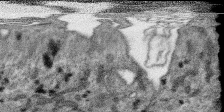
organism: Human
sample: Lung epithelial cells infected with SARS-CoV-2